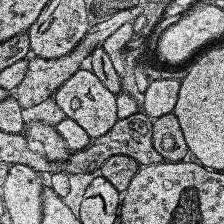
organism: Human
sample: Temporal Lobe